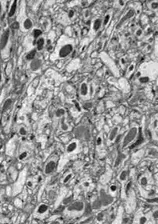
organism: Drosophila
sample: Optic lobe